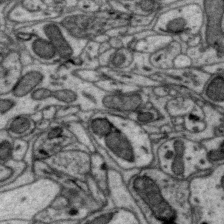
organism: Zebra finch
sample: Brain